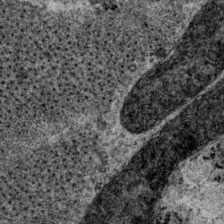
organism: P. pacificus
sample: Pharynx